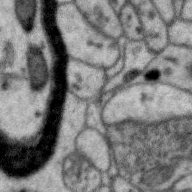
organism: Zebra finch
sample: Brain